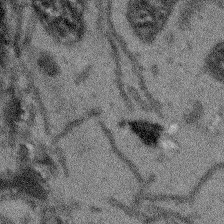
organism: Arabidopsis thaliana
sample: Root tip